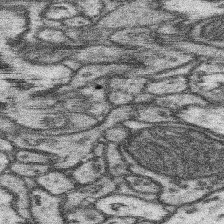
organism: Mouse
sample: Somatosensory cortex neuropil